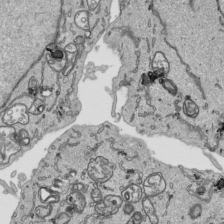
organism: Human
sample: Mitochondria in HCT116 cells